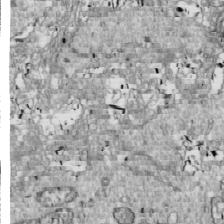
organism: Drosophila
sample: Cell division; meiosis; drosophila spermatocytes